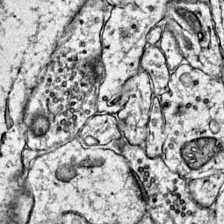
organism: Mouse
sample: Primary visual cortex